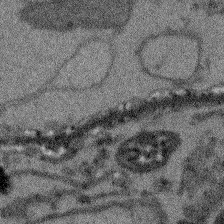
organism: Arabidopsis thaliana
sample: Root tip